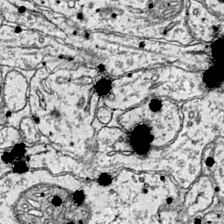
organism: Mouse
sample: Primary visual cortex